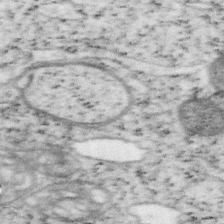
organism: Mouse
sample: OT-I killer T cells with ID8 ovarian cancer cells